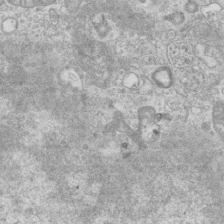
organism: Mouse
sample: Centriole in ependymal cells